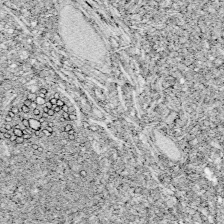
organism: Zebrafish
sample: Whole-Brain